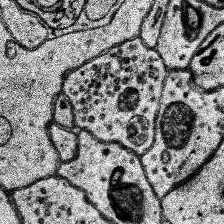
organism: Human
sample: Temporal Lobe